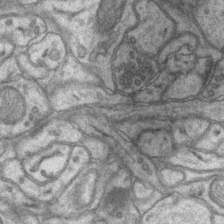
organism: Mouse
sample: CA1 Hippocampus